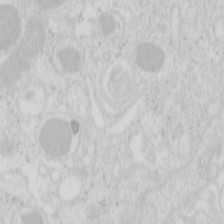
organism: Mouse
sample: Pancreas